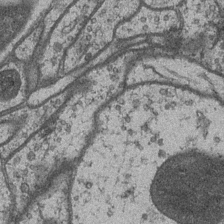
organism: Drosophila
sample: Optic medulla